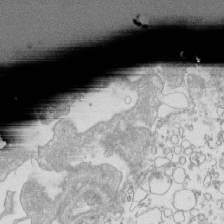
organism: Mouse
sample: Macrophages